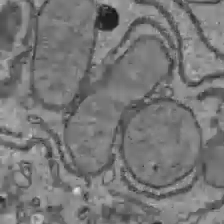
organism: C57BL Mouse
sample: Liver